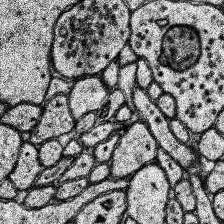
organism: Human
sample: Temporal Lobe